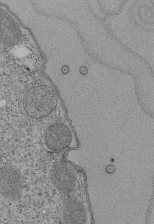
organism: Tetrahymena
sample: Cilia in tetrahymena